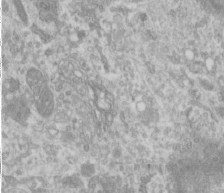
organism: Human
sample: Cilia; basal body in RPE cells